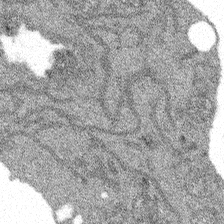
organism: Spongilla lacustris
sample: Multiple